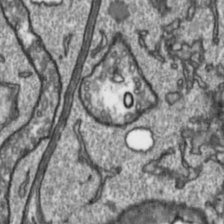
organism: Toxoplasma gondii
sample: Parasites in a vacuole inside a host cell